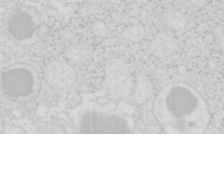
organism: Mouse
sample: Pancreas